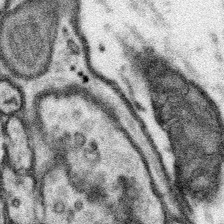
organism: Mouse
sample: Somatosensory cortex neuropil